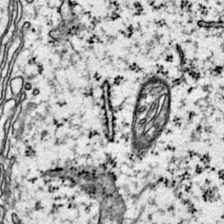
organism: Mouse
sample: Primary visual cortex